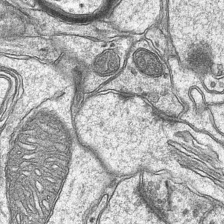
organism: Mouse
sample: CA1 Hippocampus